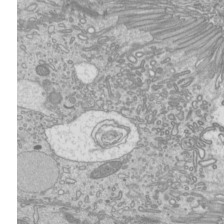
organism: Mouse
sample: Cilia; mouse epididymis